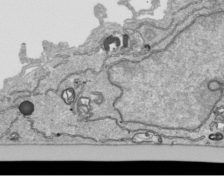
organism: Human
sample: Mitochondria in HCT116 cells